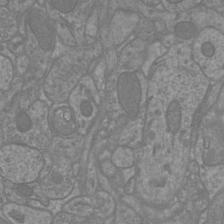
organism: Mouse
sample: Cortical neurons